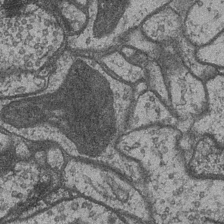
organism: Drosophila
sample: Optic medulla